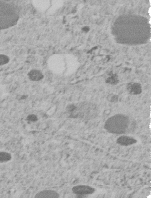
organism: C. elegans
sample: C. elegans embryo early stage